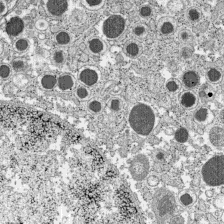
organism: C57BL Mouse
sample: Pancreatic islet